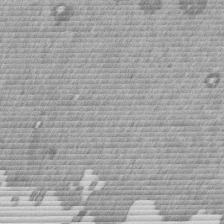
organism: Mouse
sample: Dividing mouse embryo 1 cell stage